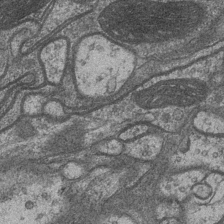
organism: Drosophila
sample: Optic medulla